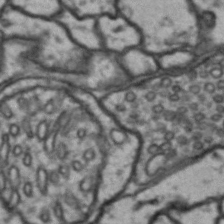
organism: Drosophila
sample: Brain